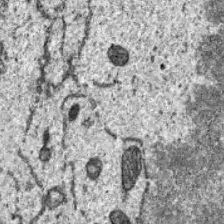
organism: Human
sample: HeLa cells